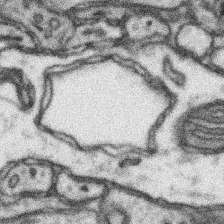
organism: Mouse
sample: Somatosensory cortex neuropil